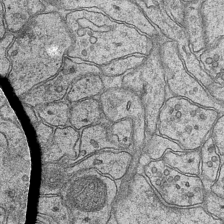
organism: Mouse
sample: CA1 Hippocampus